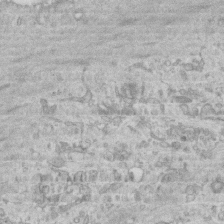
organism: Mouse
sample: Centriole in ependymal cells